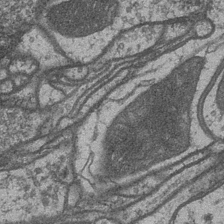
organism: Drosophila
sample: Optic medulla